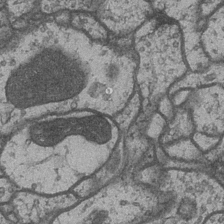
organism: Drosophila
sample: Optic medulla